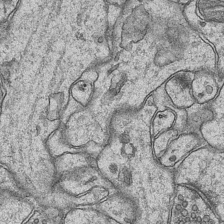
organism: Mouse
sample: CA1 Hippocampus